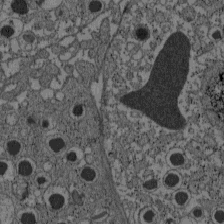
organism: C57BL Mouse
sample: Pancreatic islet